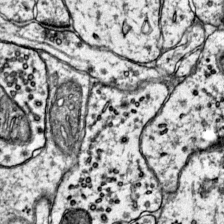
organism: Mouse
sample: Primary visual cortex